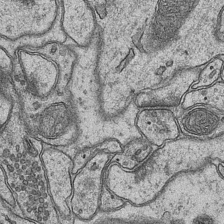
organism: Mouse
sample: CA1 Hippocampus